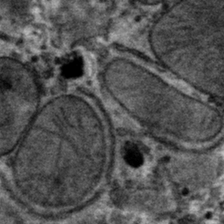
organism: Mouse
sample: Mouse hepatocytes